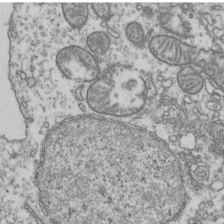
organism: Human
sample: Activated Jurkat CD4+ T cells